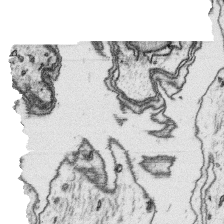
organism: Platynereis dumerilii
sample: Parapodia